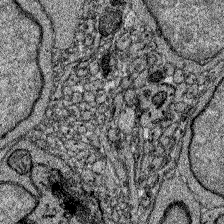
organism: Zebrafish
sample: Larval olfactory bulb